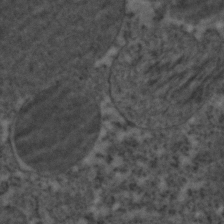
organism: C. elegans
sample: C. elegans embryo